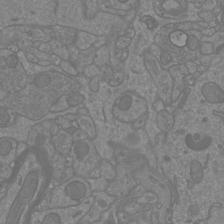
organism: Mouse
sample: Cortical neurons